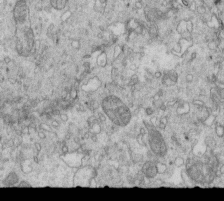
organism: Mouse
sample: Multiciliated cells